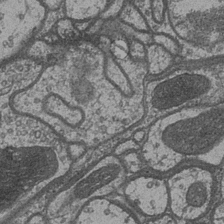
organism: Drosophila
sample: Optic medulla